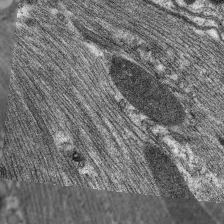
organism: C. elegans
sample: Pharynx